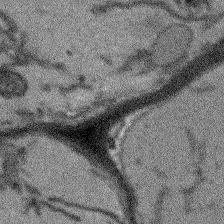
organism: Arabidopsis thaliana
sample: Root tip